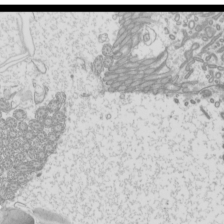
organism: Mouse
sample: Cilia; mouse epididymis